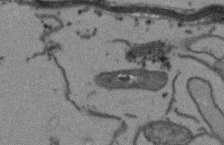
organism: Arabidopsis thaliana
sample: Root tip